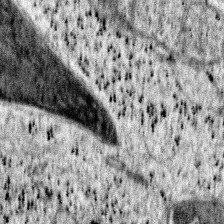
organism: Human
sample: HeLa cells